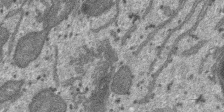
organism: Human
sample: Lung epithelial cells infected with SARS-CoV-2